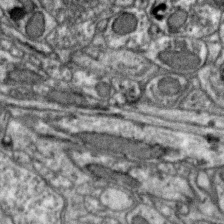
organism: Zebra finch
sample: Brain